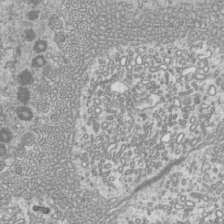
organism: Mouse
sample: Cilia; mouse epididymis